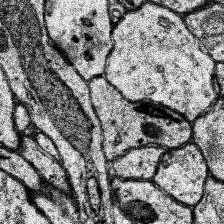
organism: Human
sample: Temporal Lobe